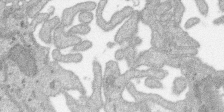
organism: Human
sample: Lung epithelial cells infected with SARS-CoV-2